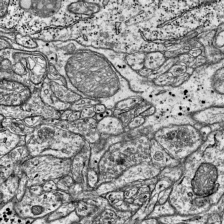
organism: Mouse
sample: Visual Cortex